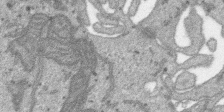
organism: Human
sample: Lung epithelial cells infected with SARS-CoV-2